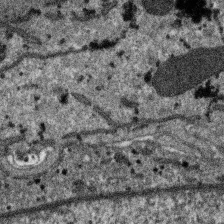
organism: Human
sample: Lung epithelial cells infected with SARS-CoV-2